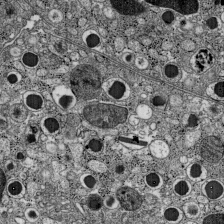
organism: C57BL Mouse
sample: Pancreatic islet